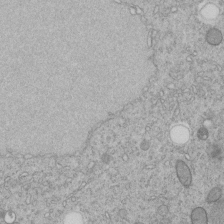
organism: C. elegans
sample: C. elegans embryo early stage